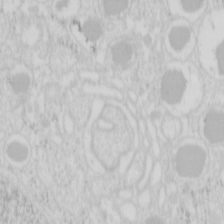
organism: Mouse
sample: Pancreas